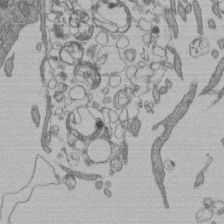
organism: Human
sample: Retinal organoid Rod and Cone cells